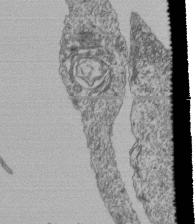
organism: Human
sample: Retinal organoid Rod and Cone cells